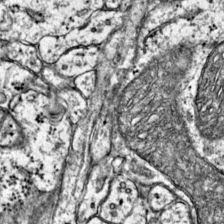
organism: Mouse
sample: Primary visual cortex